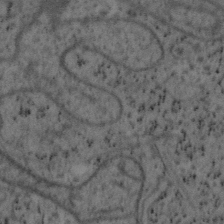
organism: Human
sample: HeLa cells